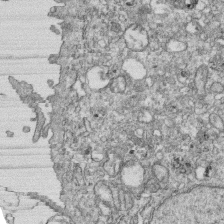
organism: Human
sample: HeLa cell HIV synapse